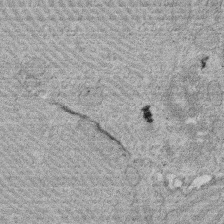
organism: Rat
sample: Salivary granule